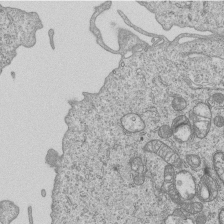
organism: Human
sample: MDA-MB-231 cells